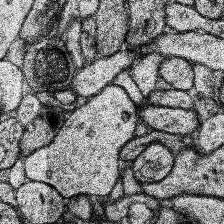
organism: Human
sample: Temporal Lobe